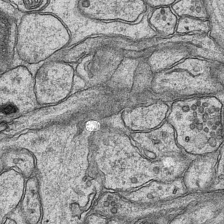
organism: Mouse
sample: CA1 Hippocampus